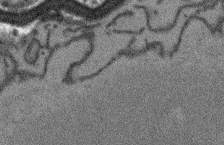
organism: Arabidopsis thaliana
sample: Root tip